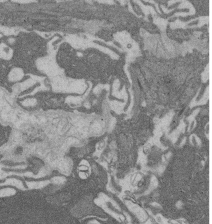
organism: Rat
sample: Salivary granule